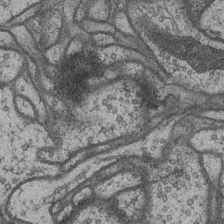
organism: Drosophila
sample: Optic medulla